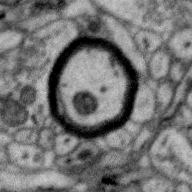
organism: Zebra finch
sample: Brain